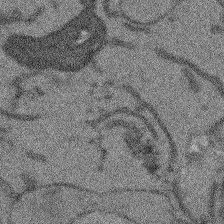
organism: Arabidopsis thaliana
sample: Root tip